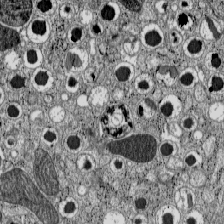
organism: C57BL Mouse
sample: Pancreatic islet